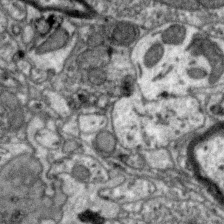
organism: Zebra finch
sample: Brain